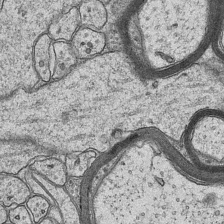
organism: Mouse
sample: CA1 Hippocampus